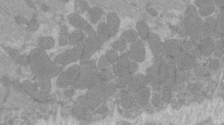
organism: C57BL Mouse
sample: Tibialis anterior muscle cell